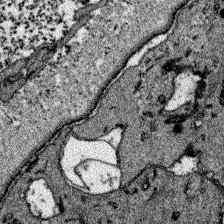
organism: Zebrafish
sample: Larval olfactory bulb